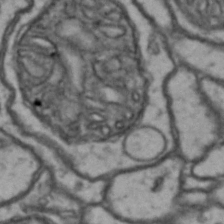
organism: Drosophila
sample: Brain